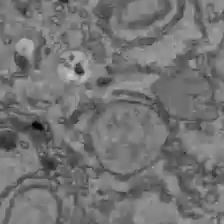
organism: C57BL Mouse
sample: Liver